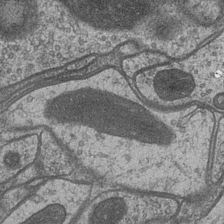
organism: Drosophila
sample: Optic medulla